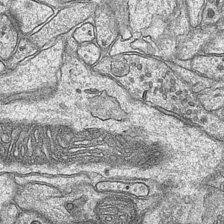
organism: Mouse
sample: CA1 Hippocampus